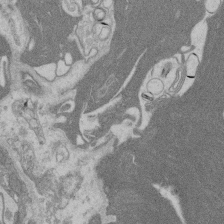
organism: Rat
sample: Salivary granule